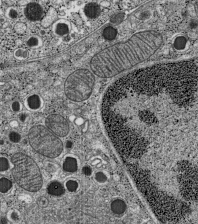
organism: C57BL Mouse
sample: Pancreatic islet